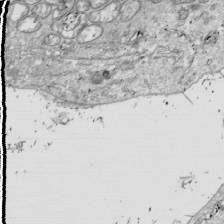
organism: Drosophila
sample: Cell division; meiosis; drosophila spermatocytes